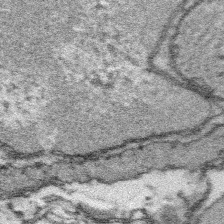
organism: Platynereis dumerilii